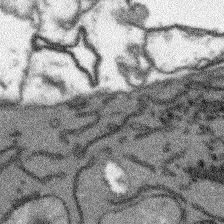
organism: Arabidopsis thaliana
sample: Root tip